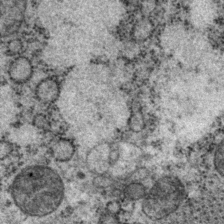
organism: P. pacificus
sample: Pharynx